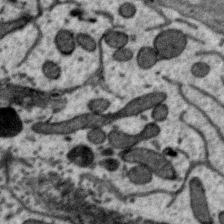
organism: Zebra finch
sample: Brain